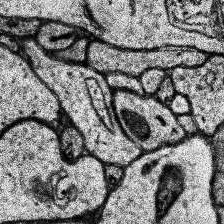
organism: Human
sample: Temporal Lobe